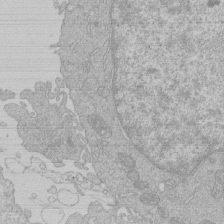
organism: Human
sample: Macrophage cells